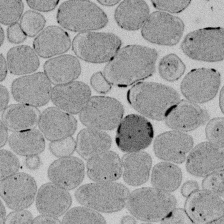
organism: E. coli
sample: Bacterial nucleoid